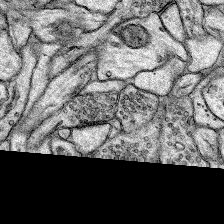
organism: Rat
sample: Hippocampus